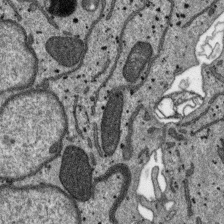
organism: Human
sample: Lung epithelial cells, uninfected (mock) control